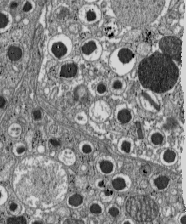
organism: C57BL Mouse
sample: Pancreatic islet